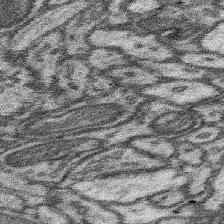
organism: Mouse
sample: Somatosensory cortex neuropil